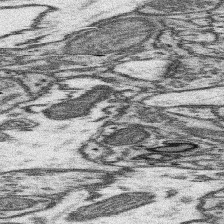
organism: Mouse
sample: Somatosensory cortex neuropil